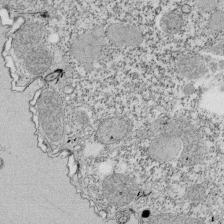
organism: Tetrahymena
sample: Cilia in tetrahymena